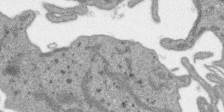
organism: Human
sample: Lung epithelial cells infected with SARS-CoV-2